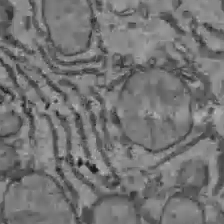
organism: C57BL Mouse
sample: Liver